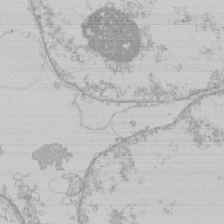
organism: Human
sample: Macrophage cells